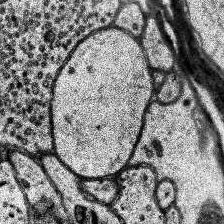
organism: Human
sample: Temporal Lobe